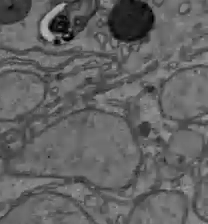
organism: C57BL Mouse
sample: Liver